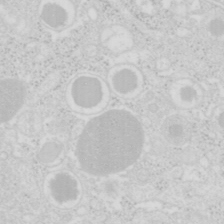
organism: Mouse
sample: Pancreas